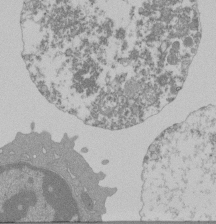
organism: Mouse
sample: Activated Pmel transgenic CD8+ T Cells